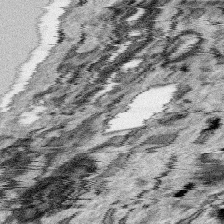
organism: Human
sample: HeLa cells